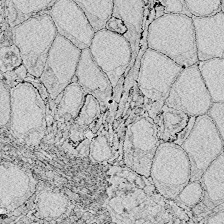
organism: Zebrafish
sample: Whole-Brain